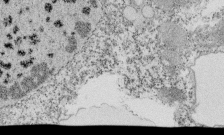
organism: Tetrahymena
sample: Cilia in tetrahymena